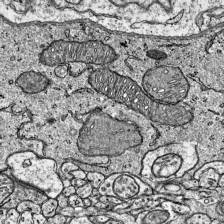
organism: Mouse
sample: Visual Cortex